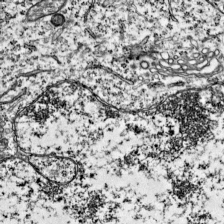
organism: Mouse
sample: Visual Cortex